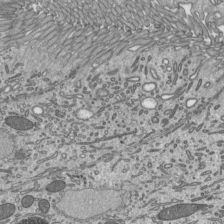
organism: Mouse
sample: Mouse epididymis efferent ductule cilia